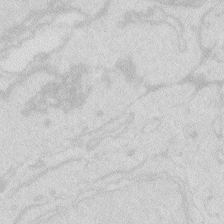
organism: Zebrafish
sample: Macrophage